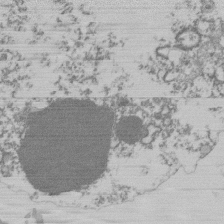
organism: Mouse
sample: Activated Pmel transgenic CD8+ T Cells